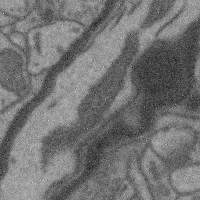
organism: Mouse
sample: Cerebral cortex